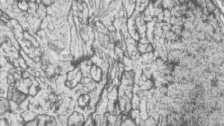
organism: Zebrafish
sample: synaptic ribbons in rod cells and cone cells